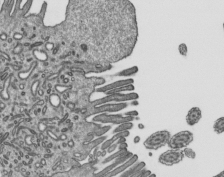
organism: Mouse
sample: Mouse epididymis efferent ductule cilia